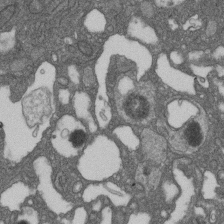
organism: Drosophila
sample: Nephrocyte